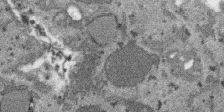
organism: Human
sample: Lung epithelial cells infected with SARS-CoV-2